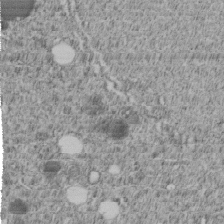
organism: C. elegans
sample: C. elegans embryo early stage